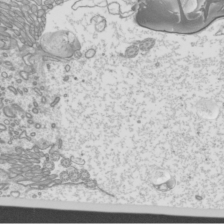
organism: Mouse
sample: Cilia; mouse epididymis